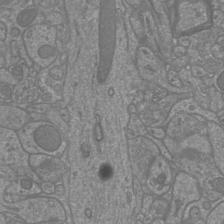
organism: Mouse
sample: Cortical neurons